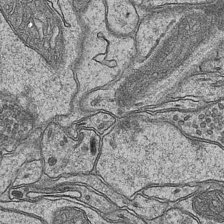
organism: Mouse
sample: CA1 Hippocampus